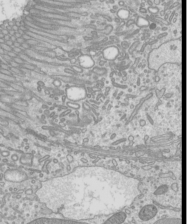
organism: Mouse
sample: Cilia; mouse epididymis